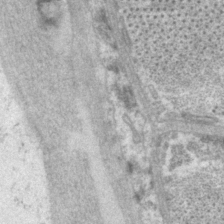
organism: P. pacificus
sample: Pharynx